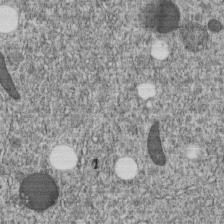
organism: C. elegans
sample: C. elegans embryo early stage